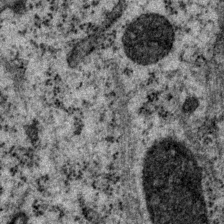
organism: P. pacificus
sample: Pharynx